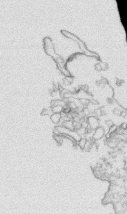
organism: Human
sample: HeLa cell HIV synapse